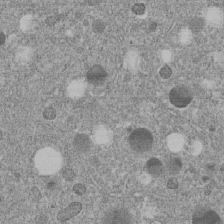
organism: C. elegans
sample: C. elegans embryo early stage